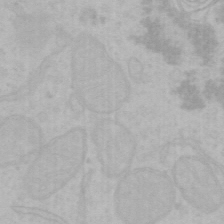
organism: Mouse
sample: Choroid plexus